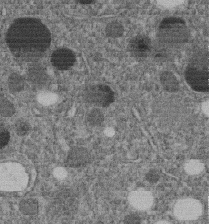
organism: C. elegans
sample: C. elegans embryo early stage